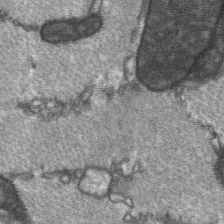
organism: C57BL Mouse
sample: Soleus